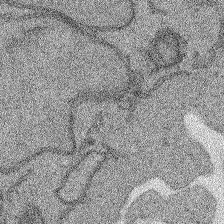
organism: Human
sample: HeLa cells